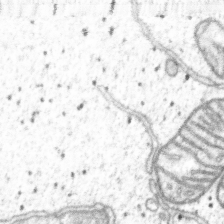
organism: Human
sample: HeLa cells